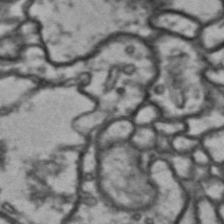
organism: Drosophila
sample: Brain